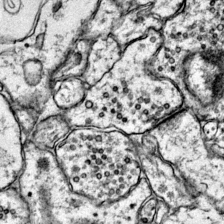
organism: Mouse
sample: Primary visual cortex